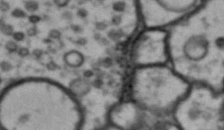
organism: Drosophila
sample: Brain